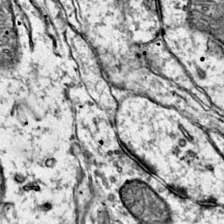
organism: Mouse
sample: Primary visual cortex